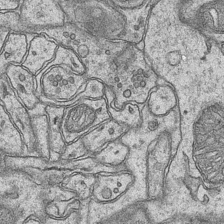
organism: Mouse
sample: CA1 Hippocampus